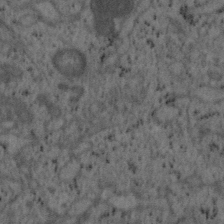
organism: Human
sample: HeLa cells